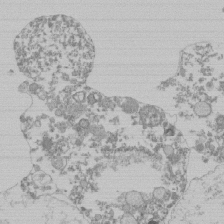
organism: Mouse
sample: Activated Pmel transgenic CD8+ T Cells